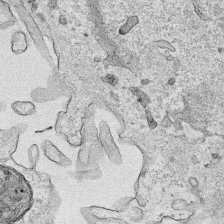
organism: Human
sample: Mitochondria in HCT116 cells